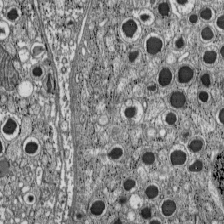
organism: C57BL Mouse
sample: Pancreatic islet